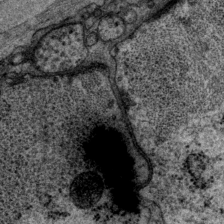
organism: P. pacificus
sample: Pharynx